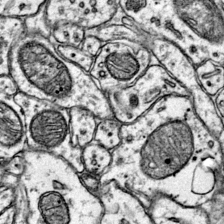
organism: Mouse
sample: Primary visual cortex